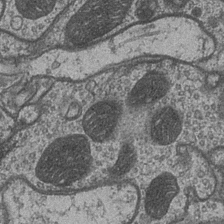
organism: Drosophila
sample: Optic medulla